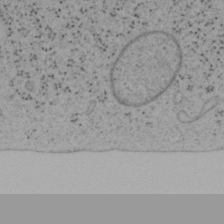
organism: Human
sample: HeLa cells